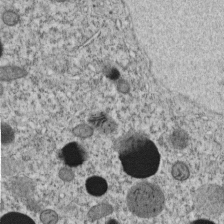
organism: C. elegans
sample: C. elegans embryo early stage